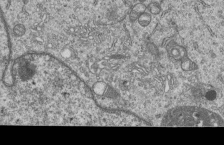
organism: Human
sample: MDA-MB-231 cells